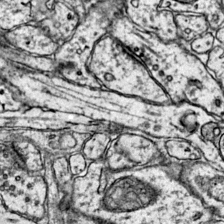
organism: Mouse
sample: Primary visual cortex